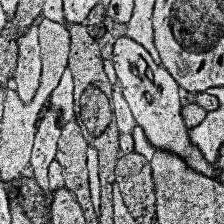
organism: Human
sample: Temporal Lobe